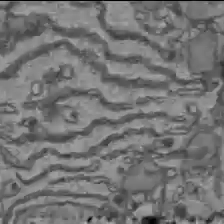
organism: C57BL Mouse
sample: Liver